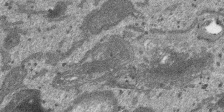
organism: Human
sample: Lung epithelial cells infected with SARS-CoV-2